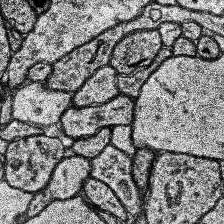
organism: Human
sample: Temporal Lobe